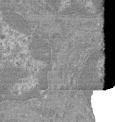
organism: Mouse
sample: Glomerulus